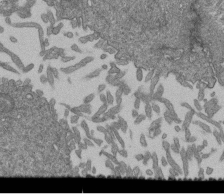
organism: Human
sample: Retinal organoid Rod and Cone cells